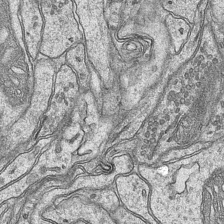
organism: Mouse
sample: CA1 Hippocampus